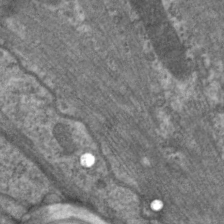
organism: C. elegans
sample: Pharynx